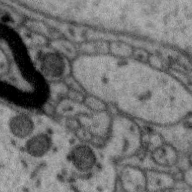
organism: Zebra finch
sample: Brain